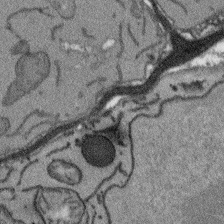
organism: Arabidopsis thaliana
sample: Root tip